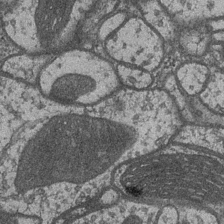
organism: Drosophila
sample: Optic medulla